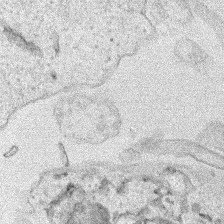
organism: Human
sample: Mitochondria in HCT116 cells